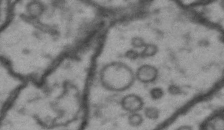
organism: Drosophila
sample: Brain